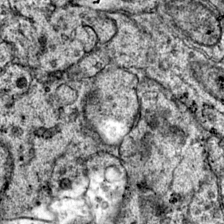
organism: Mouse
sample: Primary visual cortex